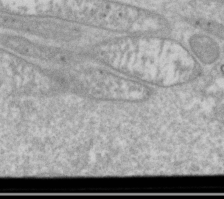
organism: Drosophila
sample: Cell division; meiosis; drosophila spermatocytes